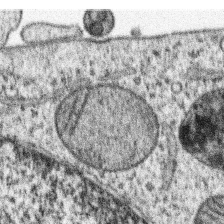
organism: Human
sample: HeLa cells